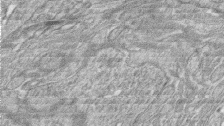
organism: Zebrafish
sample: synaptic ribbons in rod cells and cone cells